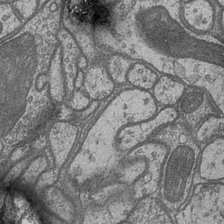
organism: Drosophila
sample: Optic medulla